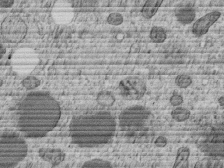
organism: C. elegans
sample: C. elegans embryo early stage